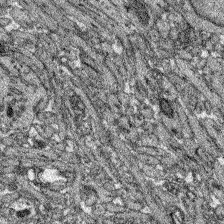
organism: Zebrafish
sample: Larval olfactory bulb